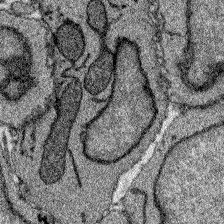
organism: Zebrafish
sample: Larval olfactory bulb